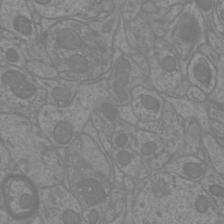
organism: Mouse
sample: Cortical neurons